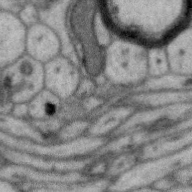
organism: Zebra finch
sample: Brain